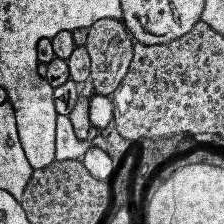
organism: Human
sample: Temporal Lobe